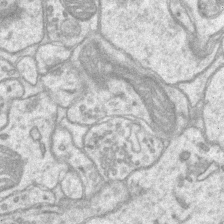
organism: Mouse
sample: CA1 Hippocampus